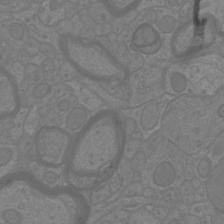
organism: Mouse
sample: Cortical neurons